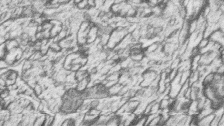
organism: Zebrafish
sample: synaptic ribbons in rod cells and cone cells